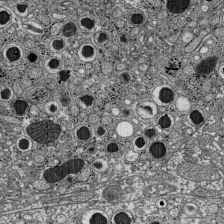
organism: C57BL Mouse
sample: Pancreatic islet